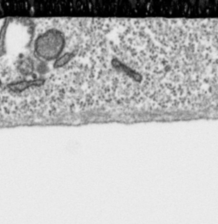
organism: Toxoplasma gondii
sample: Parasites in a vacuole inside a host cell